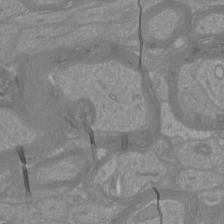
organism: Mouse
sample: Cortical neurons